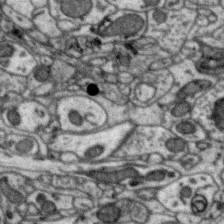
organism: Zebra finch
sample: Brain